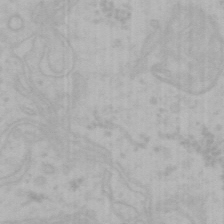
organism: Mouse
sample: Choroid plexus